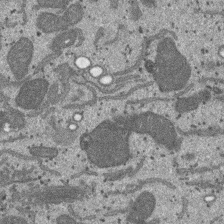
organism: Human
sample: Lung epithelial cells infected with SARS-CoV-2